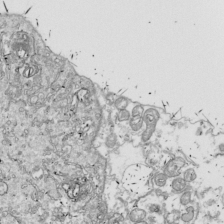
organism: Drosophila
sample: Cell division; meiosis; drosophila spermatocytes